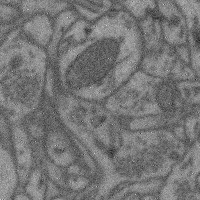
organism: Mouse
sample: Cerebral cortex